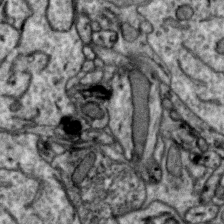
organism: Zebra finch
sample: Brain